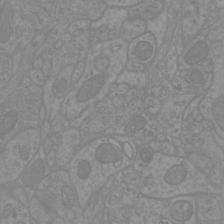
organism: Mouse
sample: Cortical neurons